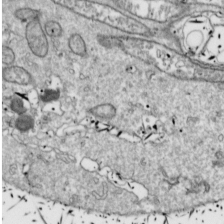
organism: Drosophila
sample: Cell division; meiosis; drosophila spermatocytes